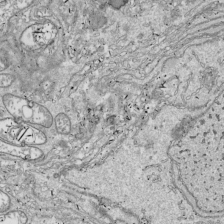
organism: Drosophila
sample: Cell division; meiosis; drosophila spermatocytes